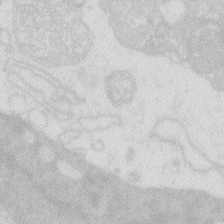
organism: Zebrafish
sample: Macrophage